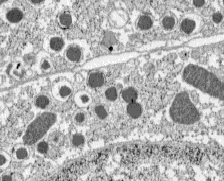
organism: C57BL Mouse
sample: Pancreatic islet